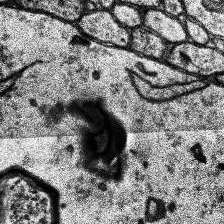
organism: Human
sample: Temporal Lobe